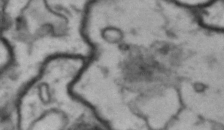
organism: Drosophila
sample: Brain